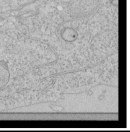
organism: Human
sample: Mitochondria in HCT116 cells